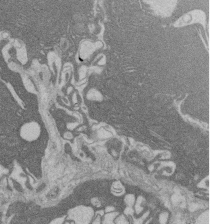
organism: Rat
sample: Salivary granule